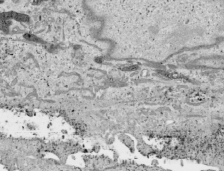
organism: Human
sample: Mitochondria in HCT116 cells